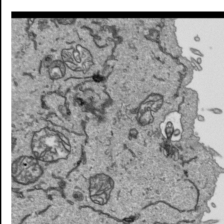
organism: Human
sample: Mitochondria in HCT116 cells